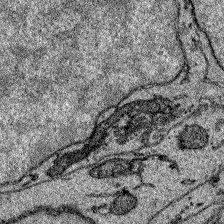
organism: Zebrafish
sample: Larval olfactory bulb